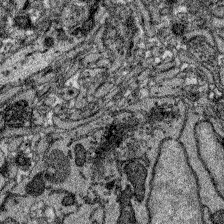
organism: Zebrafish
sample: Larval olfactory bulb